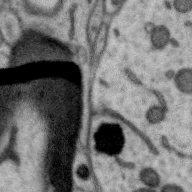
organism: Zebra finch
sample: Brain